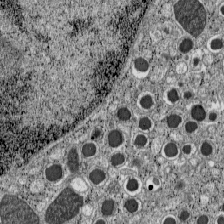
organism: C57BL Mouse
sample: Pancreatic islet